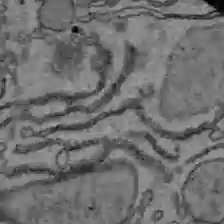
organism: C57BL Mouse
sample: Liver